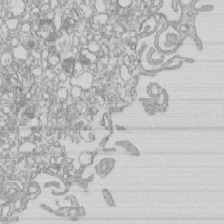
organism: Mouse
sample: Macrophages